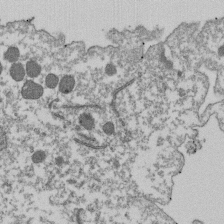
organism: Dictyostelium discoideum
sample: Dictyostelium multivesicular bodies